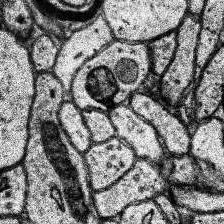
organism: Human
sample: Temporal Lobe